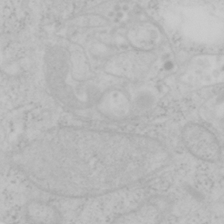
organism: Mouse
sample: OT-I killer T cells with ID8 ovarian cancer cells